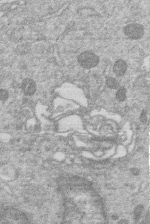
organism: Human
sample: Macrophage cells